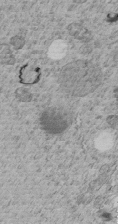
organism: C. elegans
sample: C. elegans embryo early stage